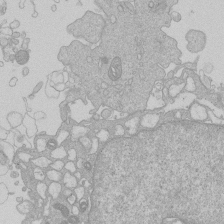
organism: Human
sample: Macrophage cells